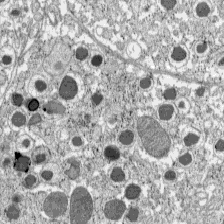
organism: C57BL Mouse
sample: Pancreatic islet